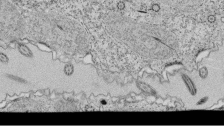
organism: Tetrahymena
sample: Cilia in tetrahymena